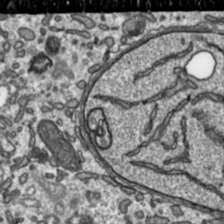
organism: Toxoplasma gondii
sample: Parasites in a vacuole inside a host cell